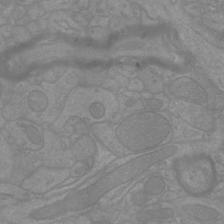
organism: Mouse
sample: Cortical neurons